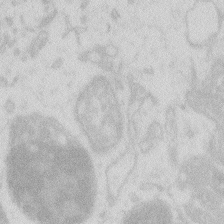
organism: Zebrafish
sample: Macrophage